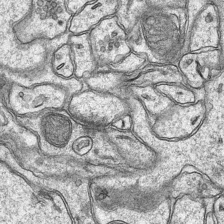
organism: Mouse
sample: CA1 Hippocampus